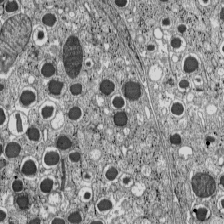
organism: C57BL Mouse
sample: Pancreatic islet